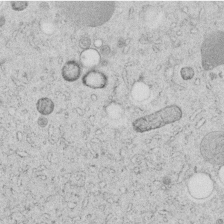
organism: C. elegans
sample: C. elegans embryo early stage